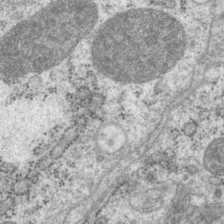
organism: P. pacificus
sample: Pharynx